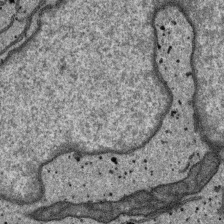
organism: Human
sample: Lung epithelial cells, uninfected (mock) control